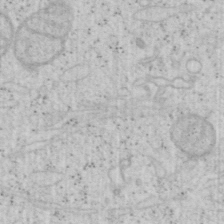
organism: Human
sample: HeLa cells